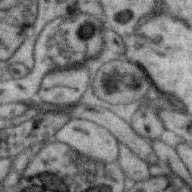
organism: Zebra finch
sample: Brain